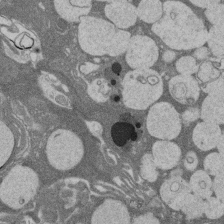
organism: Rat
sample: Salivary granule